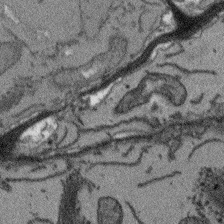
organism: Arabidopsis thaliana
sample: Root tip